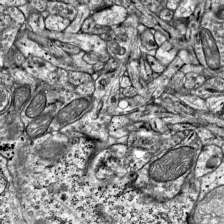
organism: Mouse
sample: Visual Cortex